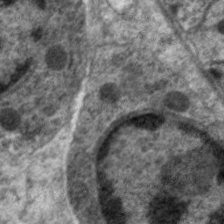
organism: C. elegans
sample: Pharynx